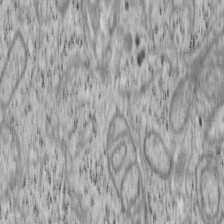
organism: Human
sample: HeLa cells